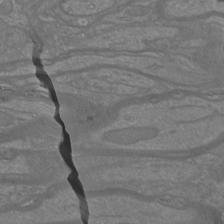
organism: Mouse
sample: Cortical neurons